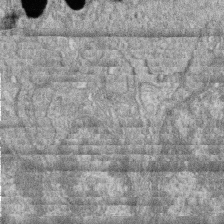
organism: Zebrafish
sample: Cilia; retinal pigment epithelium